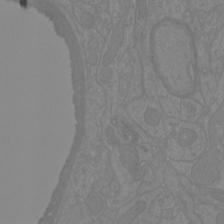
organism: Mouse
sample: Cortical neurons